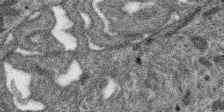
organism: Human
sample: Lung epithelial cells infected with SARS-CoV-2